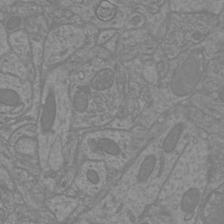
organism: Mouse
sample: Cortical neurons